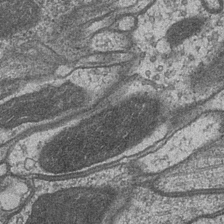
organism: Drosophila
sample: Optic medulla